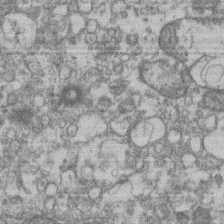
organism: Mouse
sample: T cell stromal cell synapse